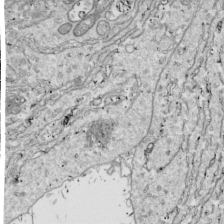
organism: Drosophila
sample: Cell division; meiosis; drosophila spermatocytes